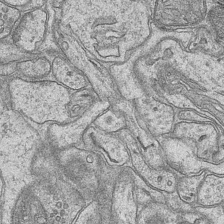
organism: Mouse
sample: CA1 Hippocampus